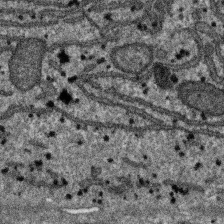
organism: Human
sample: Lung epithelial cells infected with SARS-CoV-2